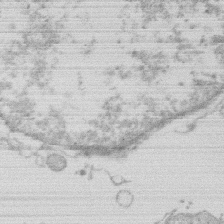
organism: Human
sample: Macrophage cells